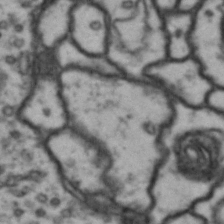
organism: Drosophila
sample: Brain